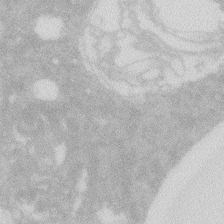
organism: Zebrafish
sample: Macrophage